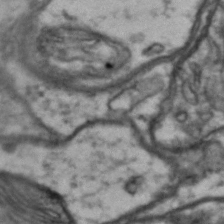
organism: Drosophila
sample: Brain